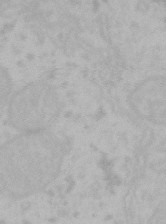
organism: Mouse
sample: Choroid plexus